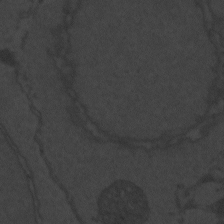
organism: Zebrafish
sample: Macrophage infected with Toxoplasma gondii